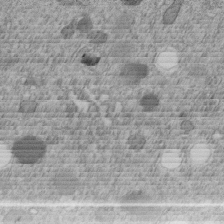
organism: C. elegans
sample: C. elegans embryo early stage